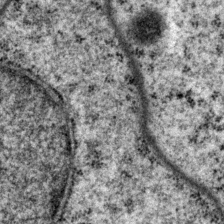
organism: P. pacificus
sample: Pharynx